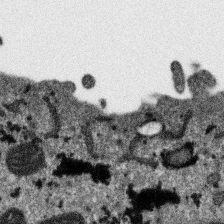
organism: Human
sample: Lung epithelial cells infected with SARS-CoV-2